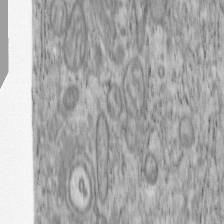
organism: Human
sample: HeLa cells